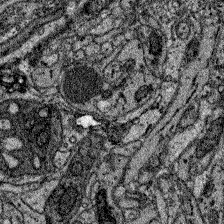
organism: Zebrafish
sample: Larval olfactory bulb